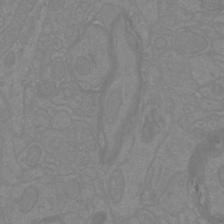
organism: Mouse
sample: Cortical neurons